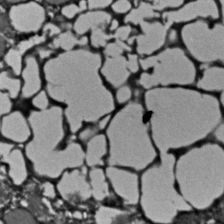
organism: C. elegans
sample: C. elegans embryo